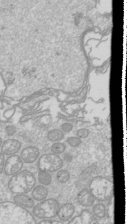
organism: Drosophila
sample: Cell division; meiosis; drosophila spermatocytes